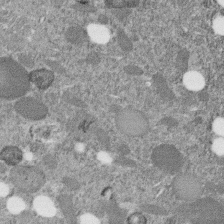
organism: C. elegans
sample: C. elegans embryo early stage